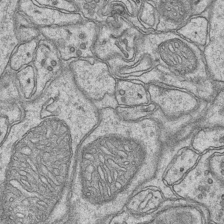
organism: Mouse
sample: CA1 Hippocampus